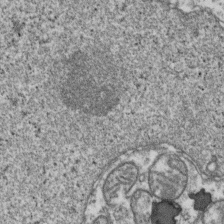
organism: Human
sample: Activated Jurkat CD4+ T cells